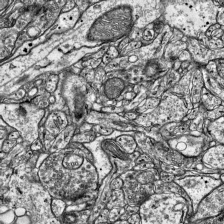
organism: Mouse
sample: Visual Cortex